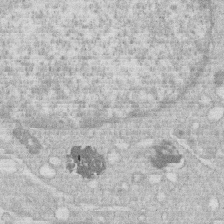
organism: Human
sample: Macrophage cells